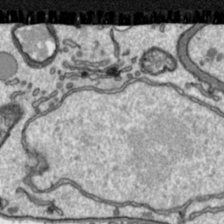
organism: Toxoplasma gondii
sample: Parasites in a vacuole inside a host cell